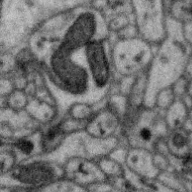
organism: Zebra finch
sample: Brain